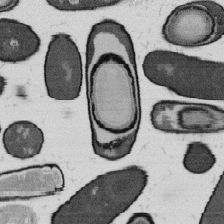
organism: B. subtilis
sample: Bacterial spore